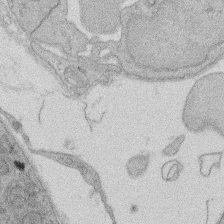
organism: Rat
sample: Salivary granule